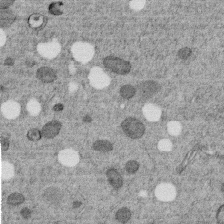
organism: C. elegans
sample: C. elegans embryo early stage